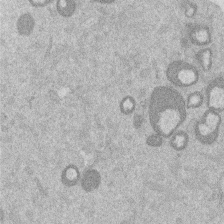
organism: Mouse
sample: Dividing mouse embryo 1 cell stage